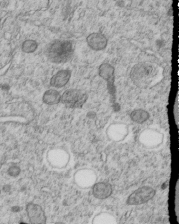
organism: C. elegans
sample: C. elegans embryo early stage